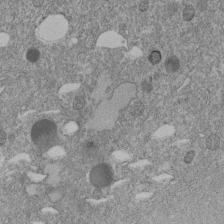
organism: C. elegans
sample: C. elegans embryo early stage